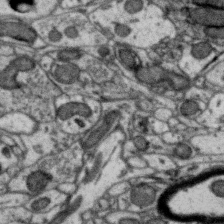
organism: Zebra finch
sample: Brain